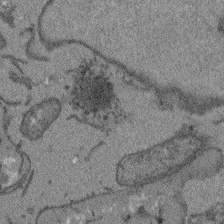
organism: Arabidopsis thaliana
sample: Root tip